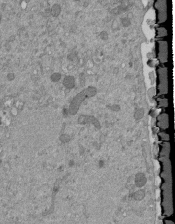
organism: Mouse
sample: ED-1 cell nuclei; centrioles